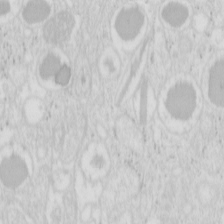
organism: Mouse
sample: Pancreas